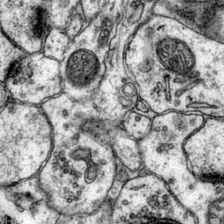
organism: Mouse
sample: Primary visual cortex